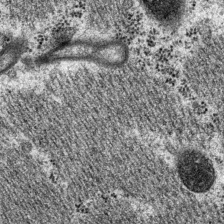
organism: P. pacificus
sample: Pharynx